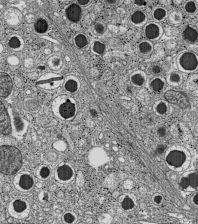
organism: C57BL Mouse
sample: Pancreatic islet